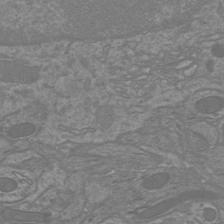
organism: Mouse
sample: Cortical neurons